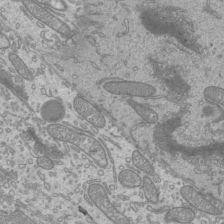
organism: Mouse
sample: Cilia; mouse epididymis